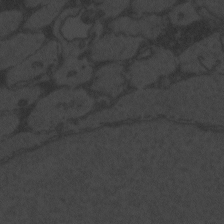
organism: Zebrafish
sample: Macrophage infected with Toxoplasma gondii